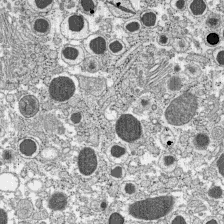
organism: C57BL Mouse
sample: Pancreatic islet